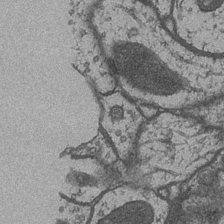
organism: Drosophila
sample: Optic medulla